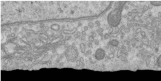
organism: Human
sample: Centriole in RPE cells